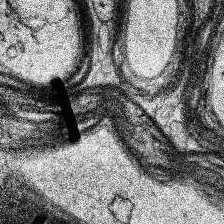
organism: Human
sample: Temporal Lobe